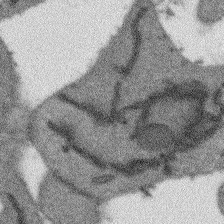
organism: Arabidopsis thaliana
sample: Root tip